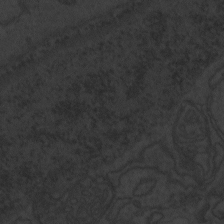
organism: Zebrafish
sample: Macrophage infected with Toxoplasma gondii